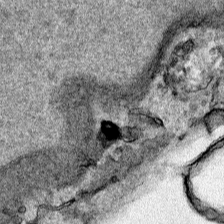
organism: Human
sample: Mitochondria in HCT116 cells